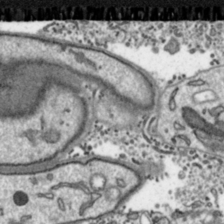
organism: Toxoplasma gondii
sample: Parasites in a vacuole inside a host cell